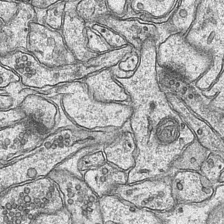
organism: Mouse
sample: CA1 Hippocampus